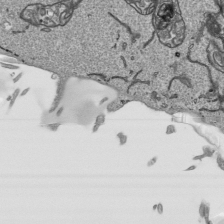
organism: Human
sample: Mitochondria in HCT116 cells